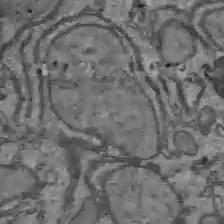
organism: C57BL Mouse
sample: Liver